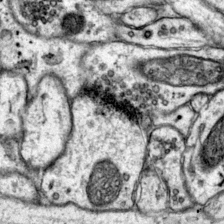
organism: Mouse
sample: Primary visual cortex